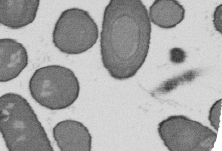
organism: B. subtilis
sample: Bacterial spore